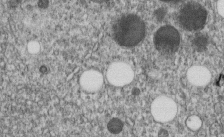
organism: C. elegans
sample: C. elegans embryo early stage